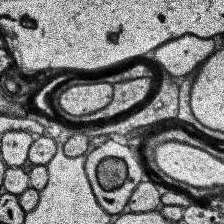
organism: Human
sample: Temporal Lobe